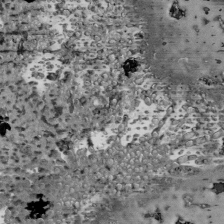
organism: Mouse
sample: ED-1 cell nuclei; centrioles